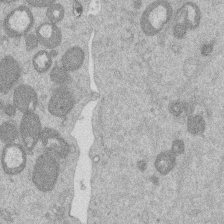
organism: Mouse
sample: Dividing mouse embryo 1 cell stage